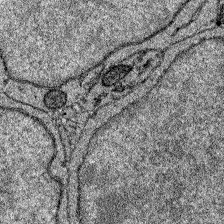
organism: Zebrafish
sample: Larval olfactory bulb